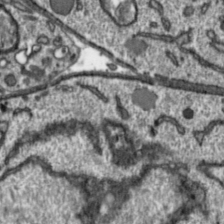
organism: Toxoplasma gondii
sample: Parasites in a vacuole inside a host cell